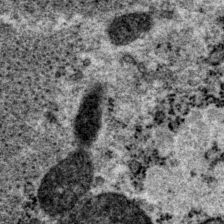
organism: P. pacificus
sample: Pharynx